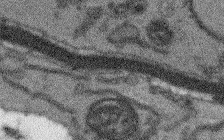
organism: Arabidopsis thaliana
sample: Root tip